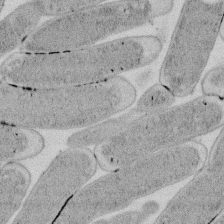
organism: E. coli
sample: Bacterial nucleoid